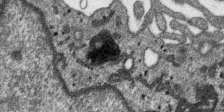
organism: Human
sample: Lung epithelial cells infected with SARS-CoV-2